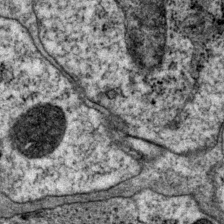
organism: P. pacificus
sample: Pharynx